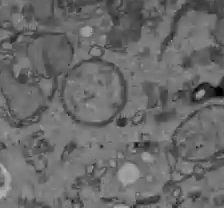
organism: C57BL Mouse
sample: Liver